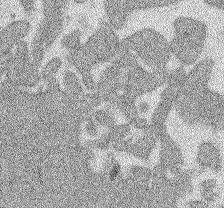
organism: Human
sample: HeLa cells